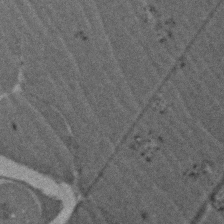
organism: Zebrafish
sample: Zebrafish embryo